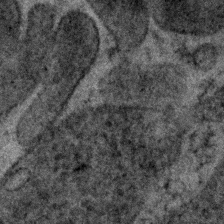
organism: Human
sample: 1205lu cells